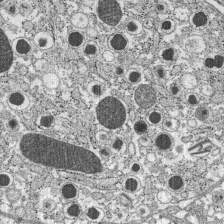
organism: C57BL Mouse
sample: Pancreatic islet